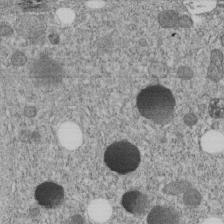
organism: C. elegans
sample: C. elegans embryo early stage